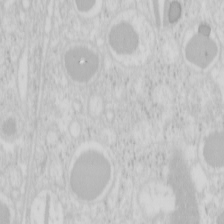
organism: Mouse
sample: Pancreas